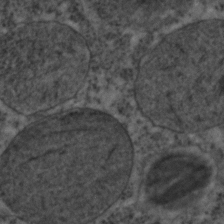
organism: C. elegans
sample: C. elegans embryo